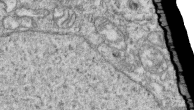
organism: Human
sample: HeLa cell HIV synapse